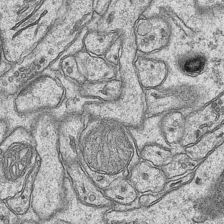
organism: Mouse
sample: CA1 Hippocampus